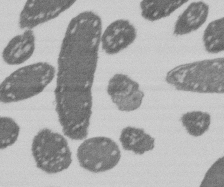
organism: E. coli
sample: Bacterial nucleoid